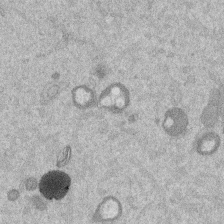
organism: Mouse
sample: Dividing mouse embryo 1 cell stage